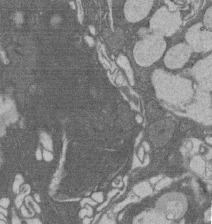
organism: Rat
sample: Salivary granule